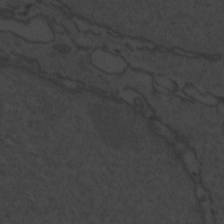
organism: Zebrafish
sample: Macrophage infected with Toxoplasma gondii